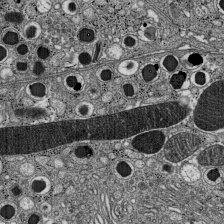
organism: C57BL Mouse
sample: Pancreatic islet